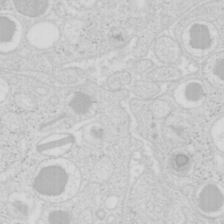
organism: Mouse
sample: Pancreas